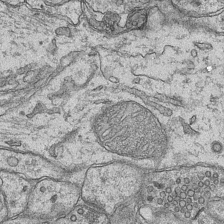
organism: Mouse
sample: CA1 Hippocampus